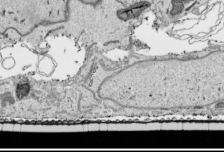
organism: Human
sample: Mitochondria in HCT116 cells